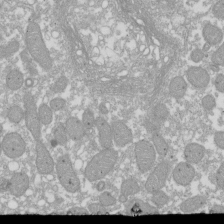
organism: Xenopus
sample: Cilia; centrioles in frog embryo cells